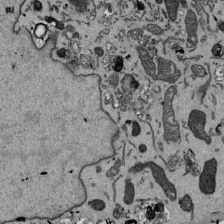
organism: Mouse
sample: ED-1 cell nuclei; centrioles